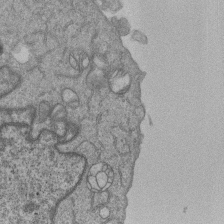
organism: Human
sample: MDA-MB-231 cells